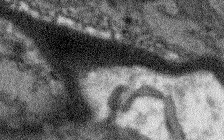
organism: Arabidopsis thaliana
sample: Root tip